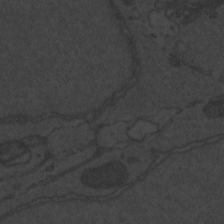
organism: Zebrafish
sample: Macrophage infected with Toxoplasma gondii